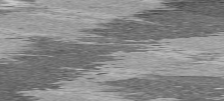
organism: C57BL Mouse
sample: Heart